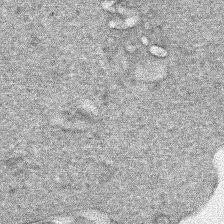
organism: Human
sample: Mitochondria in HCT116 cells